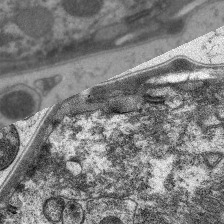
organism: C. elegans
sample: Pharynx